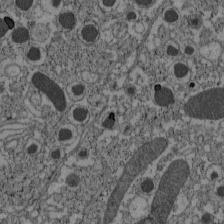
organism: C57BL Mouse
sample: Pancreatic islet